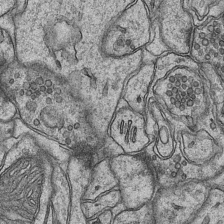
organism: Mouse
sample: CA1 Hippocampus